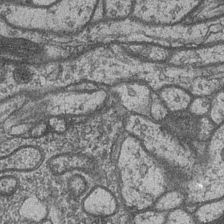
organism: Drosophila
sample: Optic medulla